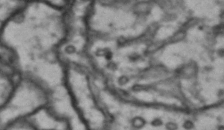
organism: Drosophila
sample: Brain